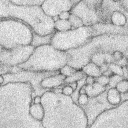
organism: Rabbit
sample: Retina